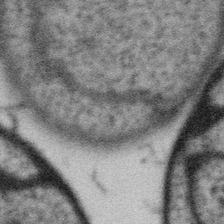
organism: Gemmata obscuriglobus